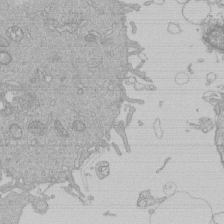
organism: Human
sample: Macrophage cells